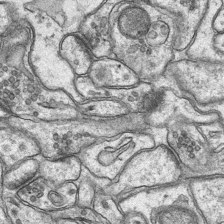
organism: Mouse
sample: CA1 Hippocampus